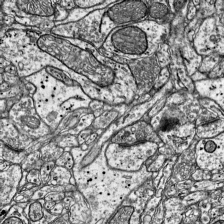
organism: Mouse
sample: Visual Cortex